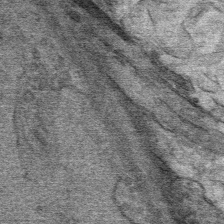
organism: Mouse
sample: Mouse Salivary gland